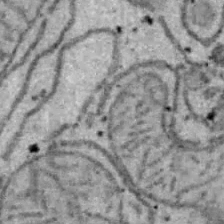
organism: Mouse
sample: Liver from an obese (ob/ob) mouse